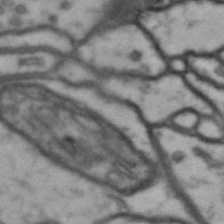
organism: Drosophila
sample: Brain